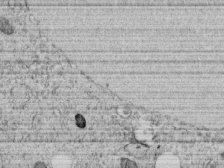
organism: C. elegans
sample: C. elegans embryo early stage